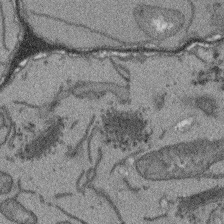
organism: Arabidopsis thaliana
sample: Root tip